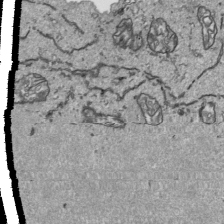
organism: Human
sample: Mitochondria in HCT116 cells